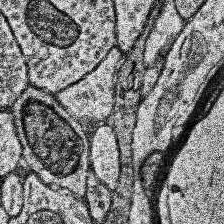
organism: Human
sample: Temporal Lobe